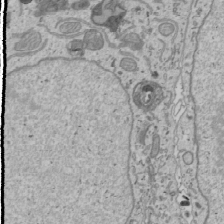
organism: Human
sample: Mitochondria in U2OS cells